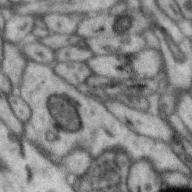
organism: Zebra finch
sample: Brain